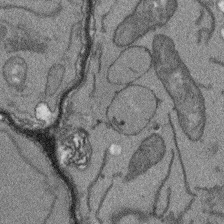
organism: Arabidopsis thaliana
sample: Root tip